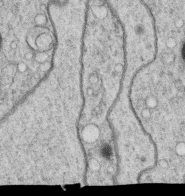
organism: C. elegans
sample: C. elegans oocyte; sperm cells